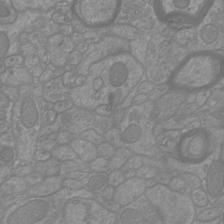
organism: Mouse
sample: Cortical neurons